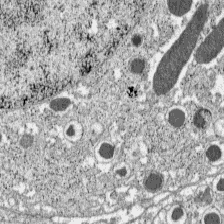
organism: C57BL Mouse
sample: Pancreatic islet